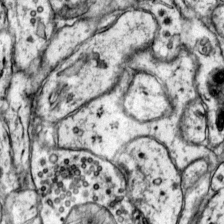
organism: Mouse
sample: Primary visual cortex